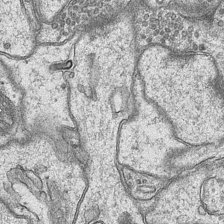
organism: Mouse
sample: CA1 Hippocampus